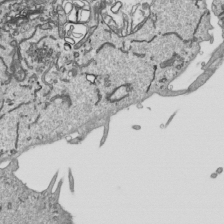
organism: Human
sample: Mitochondria in HCT116 cells